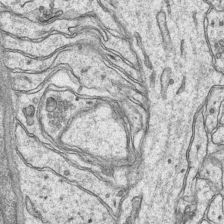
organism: Mouse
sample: CA1 Hippocampus